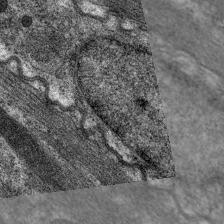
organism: C. elegans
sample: Pharynx